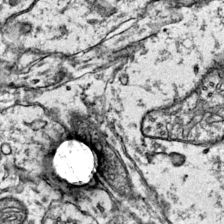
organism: Mouse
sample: Primary visual cortex